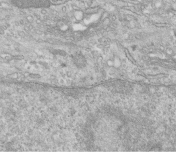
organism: Human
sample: Centriole in fibroblast cells